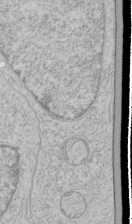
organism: Human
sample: Mitochondria in HCT116 cells